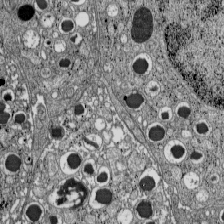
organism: C57BL Mouse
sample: Pancreatic islet